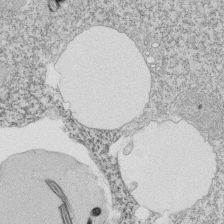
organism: Tetrahymena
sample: Cilia in tetrahymena